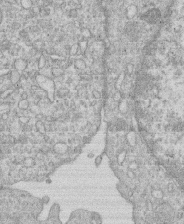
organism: Human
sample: Macrophage cells